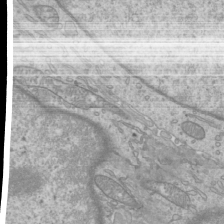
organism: Mouse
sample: Cilia; mouse epididymis